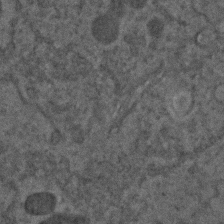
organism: C. elegans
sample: C. elegans embryo